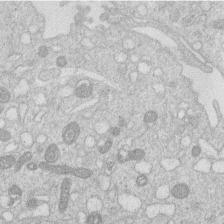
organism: Human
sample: Macrophage cells